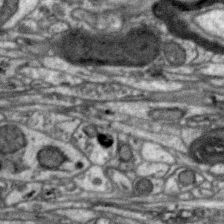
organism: Zebra finch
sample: Brain